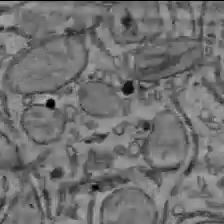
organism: C57BL Mouse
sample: Liver